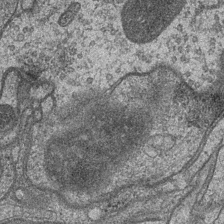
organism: Drosophila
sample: Optic medulla